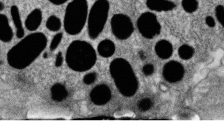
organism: Zebrafish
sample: Cilia; retinal pigment epithelium